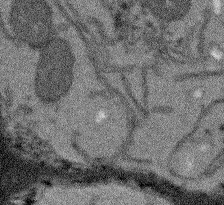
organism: Arabidopsis thaliana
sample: Root tip